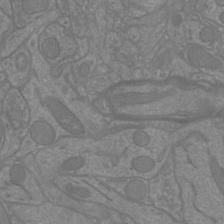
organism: Mouse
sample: Cortical neurons